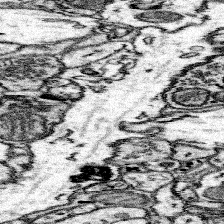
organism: Mouse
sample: Somatosensory cortex neuropil